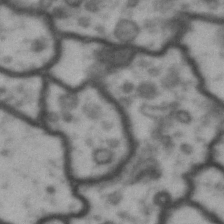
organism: Drosophila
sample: Brain